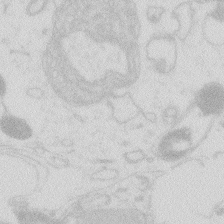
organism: Zebrafish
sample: Macrophage